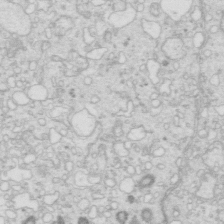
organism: Mouse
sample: Multiciliated cells